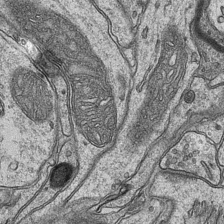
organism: Mouse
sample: CA1 Hippocampus